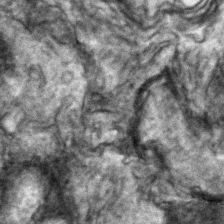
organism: Zebrafish